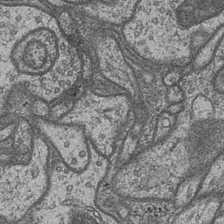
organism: Drosophila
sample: Optic medulla